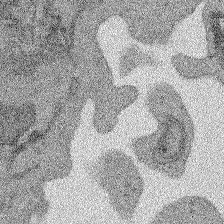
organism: Human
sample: HeLa cells